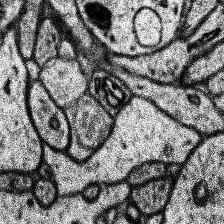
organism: Human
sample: Temporal Lobe